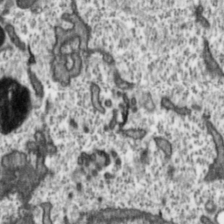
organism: Toxoplasma gondii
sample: Parasites in a vacuole inside a host cell